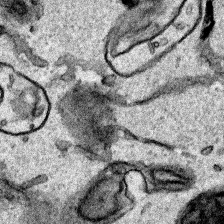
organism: Human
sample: Mitochondria in HCT116 cells